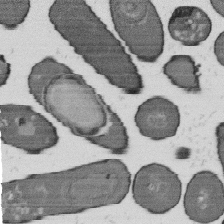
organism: B. subtilis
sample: Bacterial spore